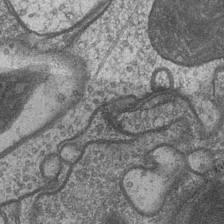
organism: Drosophila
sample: Optic medulla